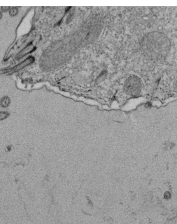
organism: Tetrahymena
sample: Cilia in tetrahymena